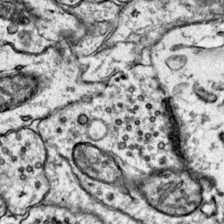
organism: Mouse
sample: Primary visual cortex